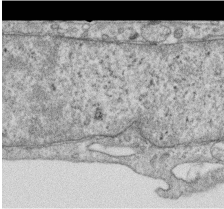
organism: Human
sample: Centriole in RPE cells